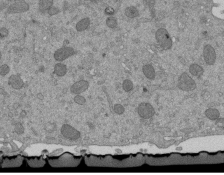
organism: Mouse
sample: ED-1 cell nuclei; centrioles